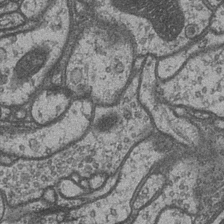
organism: Drosophila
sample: Optic medulla